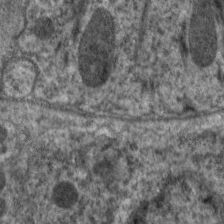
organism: C. elegans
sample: Pharynx